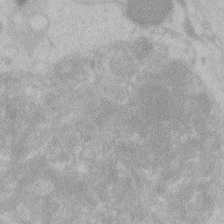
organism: Zebrafish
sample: Macrophage infected with Toxoplasma gondii